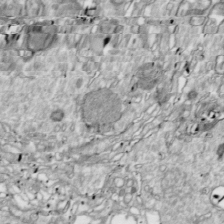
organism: Drosophila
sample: Cell division; meiosis; drosophila spermatocytes